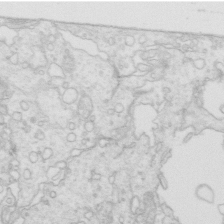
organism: Mouse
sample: Multiciliated cells